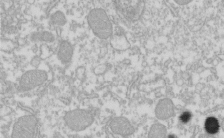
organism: Xenopus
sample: Cilia; centrioles in frog embryo cells